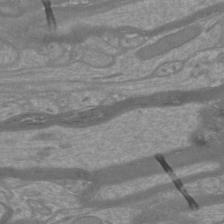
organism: Mouse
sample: Cortical neurons